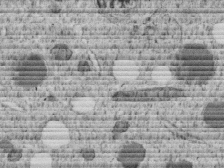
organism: C. elegans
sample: C. elegans embryo early stage